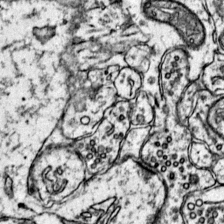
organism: Mouse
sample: Primary visual cortex